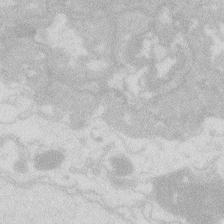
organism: Zebrafish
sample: Macrophage